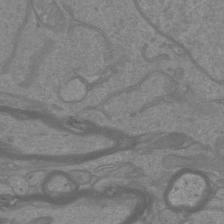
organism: Mouse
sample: Cortical neurons